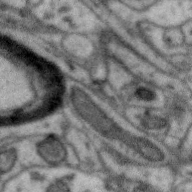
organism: Zebra finch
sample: Brain